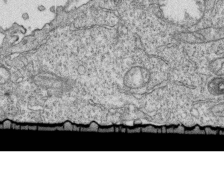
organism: Human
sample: HeLa cell HIV synapse